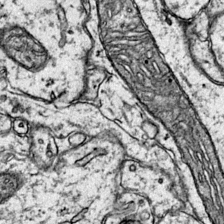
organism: Mouse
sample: Primary visual cortex